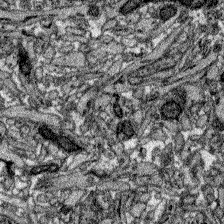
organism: Zebrafish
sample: Larval olfactory bulb